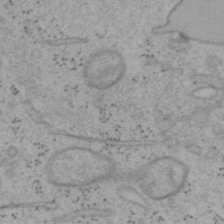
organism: Human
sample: HeLa cells